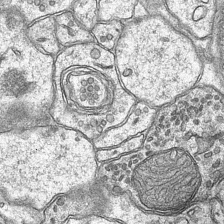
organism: Mouse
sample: CA1 Hippocampus